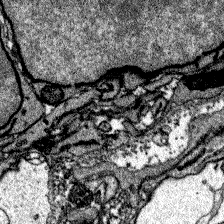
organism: Zebrafish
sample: Larval olfactory bulb